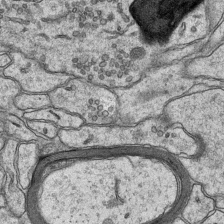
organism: Mouse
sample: CA1 Hippocampus